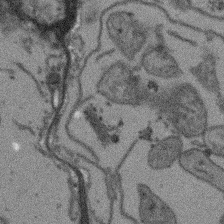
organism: Arabidopsis thaliana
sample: Root tip